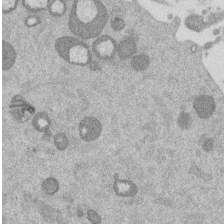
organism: Mouse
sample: Dividing mouse embryo 1 cell stage